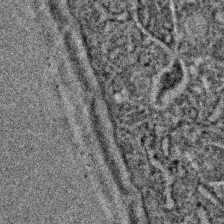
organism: C. elegans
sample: C. elegans embryo